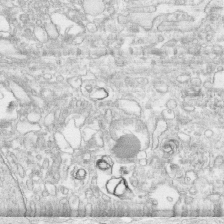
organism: Human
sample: CRL-1474